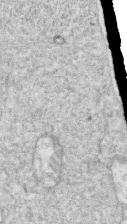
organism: Human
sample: HeLa cell HIV synapse